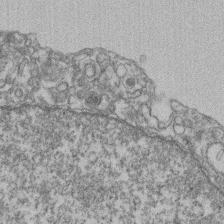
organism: Mouse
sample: T cell stromal cell synapse